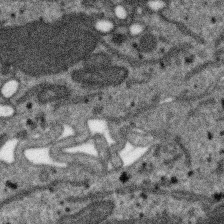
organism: Human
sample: Lung epithelial cells infected with SARS-CoV-2